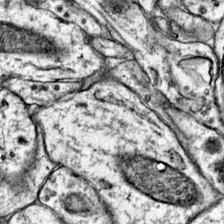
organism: Mouse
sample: Primary visual cortex